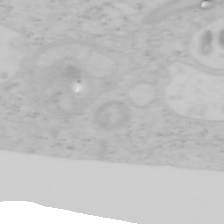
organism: Mouse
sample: OT-I killer T cells with ID8 ovarian cancer cells